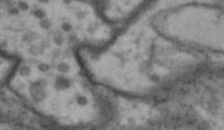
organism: Drosophila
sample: Brain